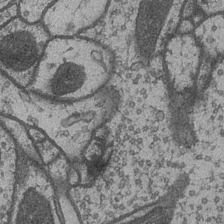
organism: Drosophila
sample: Optic medulla